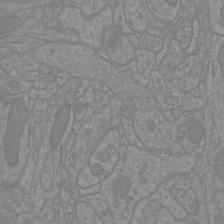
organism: Mouse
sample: Cortical neurons